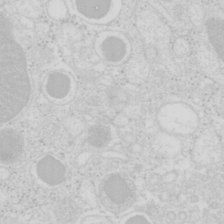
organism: Mouse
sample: Pancreas